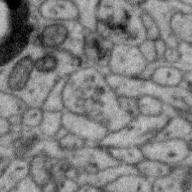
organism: Zebra finch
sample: Brain